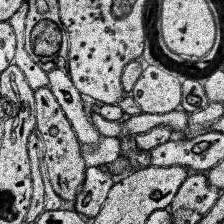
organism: Human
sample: Temporal Lobe